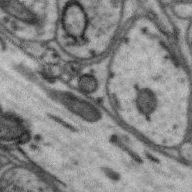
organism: Zebra finch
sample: Brain